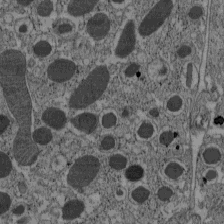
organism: C57BL Mouse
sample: Pancreatic islet